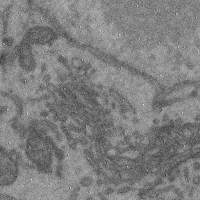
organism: Mouse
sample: Cerebral cortex